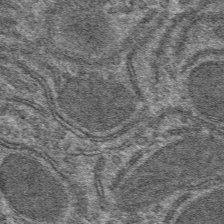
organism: Mouse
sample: Mouse hepatocytes